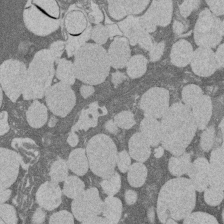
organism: Rat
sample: Salivary granule